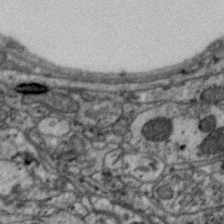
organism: Zebra finch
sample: Brain